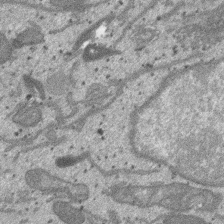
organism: Human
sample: Lung epithelial cells infected with SARS-CoV-2